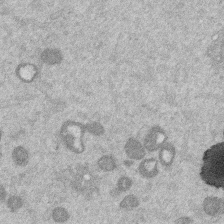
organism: Mouse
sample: Dividing mouse embryo 1 cell stage